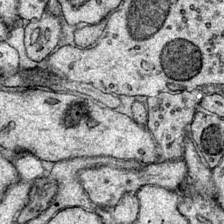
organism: Mouse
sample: Primary visual cortex